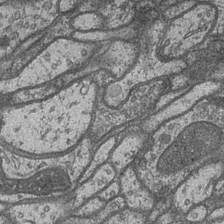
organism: Drosophila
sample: Optic medulla